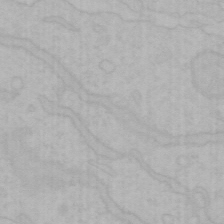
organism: Mouse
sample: Choroid plexus